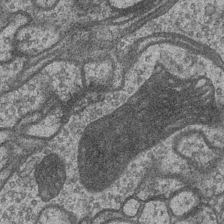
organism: Drosophila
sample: Optic medulla